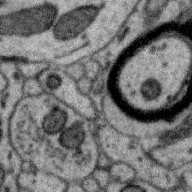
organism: Zebra finch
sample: Brain